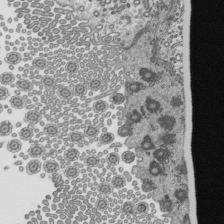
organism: Mouse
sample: Mouse epididymis efferent ductule cilia